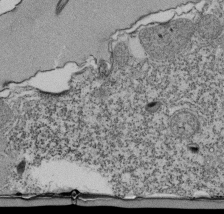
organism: Tetrahymena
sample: Cilia in tetrahymena